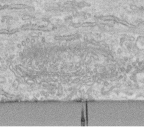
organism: Human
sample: Centriole in fibroblast cells